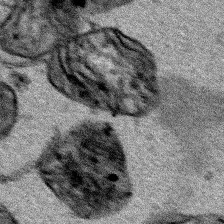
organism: Human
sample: Mitochondria in HCT116 cells